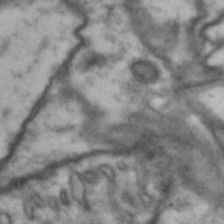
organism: Drosophila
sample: Brain